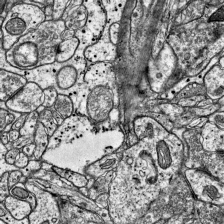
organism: Mouse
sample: Visual Cortex